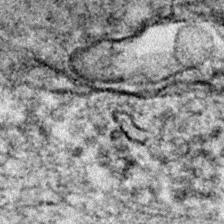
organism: Zebrafish